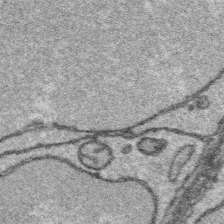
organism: Platynereis dumerilii